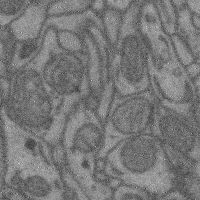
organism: Mouse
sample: Cerebral cortex